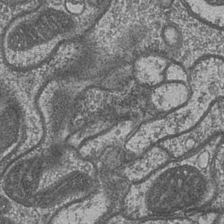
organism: Drosophila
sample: Optic medulla